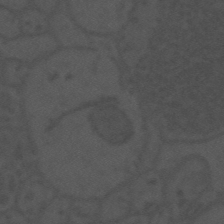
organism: Mouse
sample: Suprachiasmatic nucleus